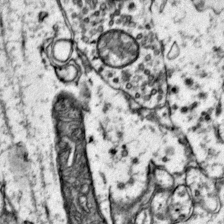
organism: Mouse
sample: Primary visual cortex